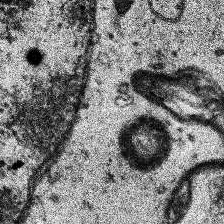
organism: Human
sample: Temporal Lobe